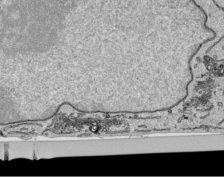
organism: Human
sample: Mitochondria in HCT116 cells